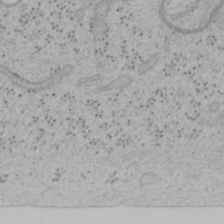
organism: Human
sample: HeLa cells